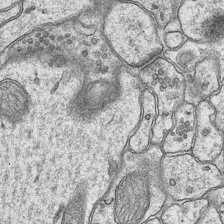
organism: Mouse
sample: CA1 Hippocampus